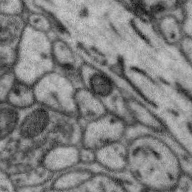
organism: Zebra finch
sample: Brain